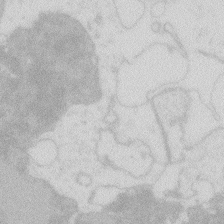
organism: Zebrafish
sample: Macrophage